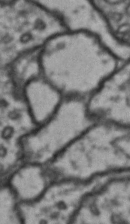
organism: Drosophila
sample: Brain